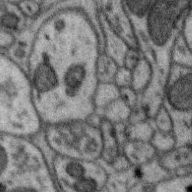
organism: Zebra finch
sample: Brain